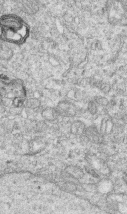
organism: Human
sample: HeLa cell HIV synapse